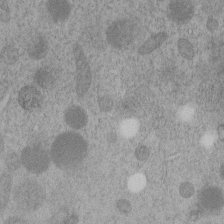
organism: C. elegans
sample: C. elegans embryo early stage